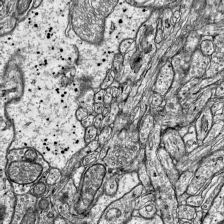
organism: Mouse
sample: Visual Cortex